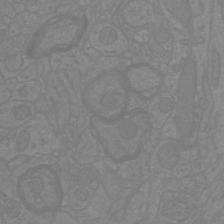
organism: Mouse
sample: Cortical neurons